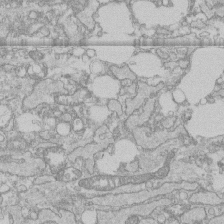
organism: Human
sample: CRL-1474